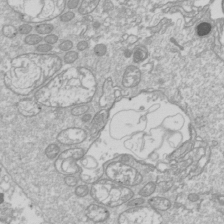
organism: Drosophila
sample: Cell division; meiosis; drosophila spermatocytes